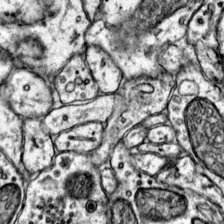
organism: Mouse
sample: Primary visual cortex